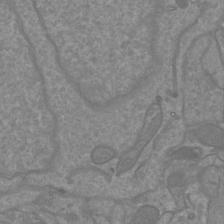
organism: Mouse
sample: Cortical neurons